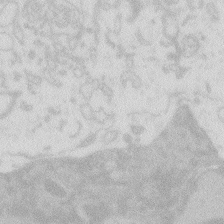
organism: Zebrafish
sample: Macrophage